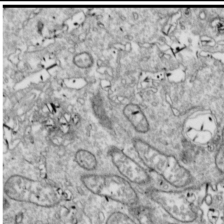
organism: Drosophila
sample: Cell division; meiosis; drosophila spermatocytes